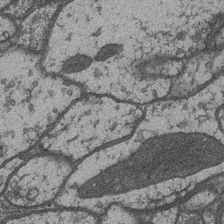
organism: Drosophila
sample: Optic medulla